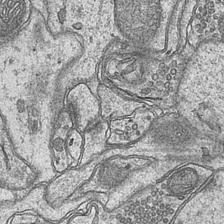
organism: Mouse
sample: CA1 Hippocampus